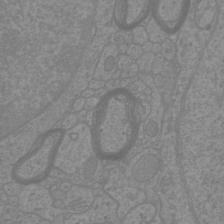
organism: Mouse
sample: Cortical neurons